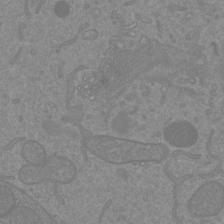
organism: Mouse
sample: Cortical neurons